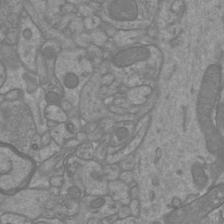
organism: Mouse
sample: Cortical neurons